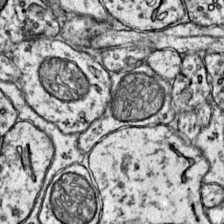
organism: Mouse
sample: Primary visual cortex